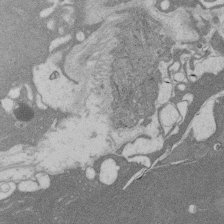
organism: Rat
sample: Salivary granule